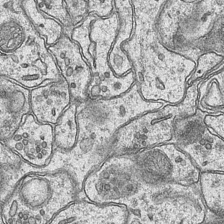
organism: Mouse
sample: CA1 Hippocampus